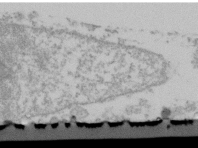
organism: Human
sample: U2-OS cells